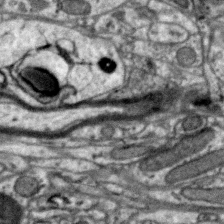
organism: Zebra finch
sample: Brain